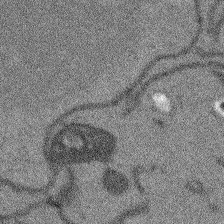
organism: Arabidopsis thaliana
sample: Root tip